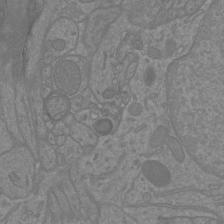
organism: Mouse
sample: Cortical neurons